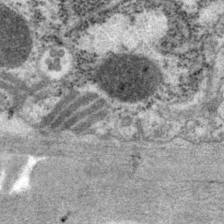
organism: P. pacificus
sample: Pharynx